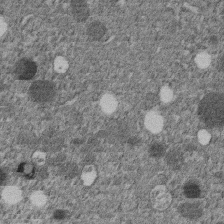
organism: C. elegans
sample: C. elegans embryo early stage